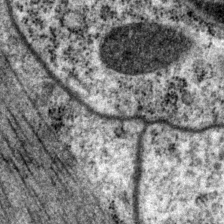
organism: P. pacificus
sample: Pharynx